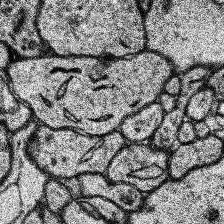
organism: Human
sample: Temporal Lobe